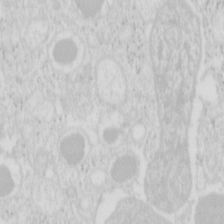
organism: Mouse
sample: Pancreas